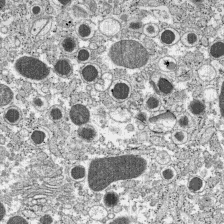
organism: C57BL Mouse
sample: Pancreatic islet